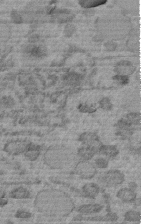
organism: C. elegans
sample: C. elegans embryo early stage